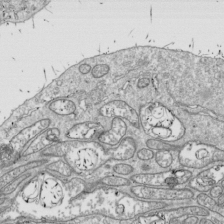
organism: Drosophila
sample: Cell division; meiosis; drosophila spermatocytes